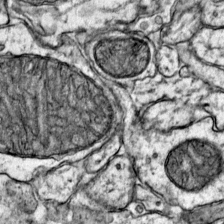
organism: Mouse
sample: Primary visual cortex